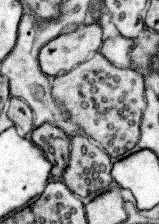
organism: Mouse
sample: Somatosensory cortex neuropil